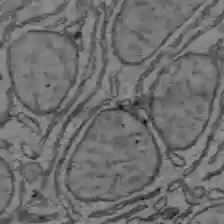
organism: C57BL Mouse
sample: Liver